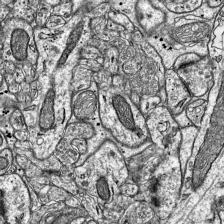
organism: Mouse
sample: Visual Cortex